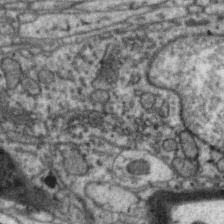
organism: Zebra finch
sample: Brain